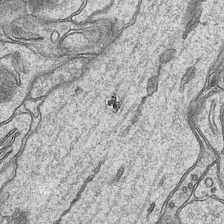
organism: Mouse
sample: CA1 Hippocampus